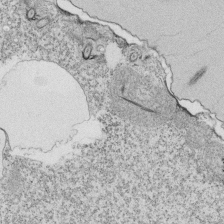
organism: Tetrahymena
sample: Cilia in tetrahymena